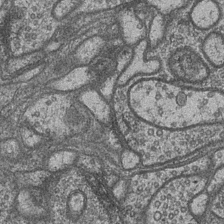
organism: Drosophila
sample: Optic medulla